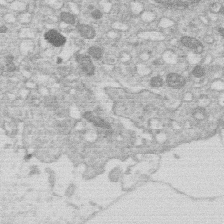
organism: Human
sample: Macrophage cells